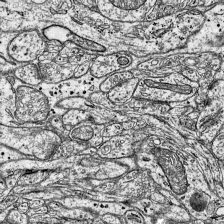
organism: Mouse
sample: Visual Cortex